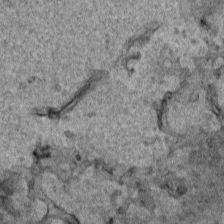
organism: Human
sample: Mitochondria in HCT116 cells